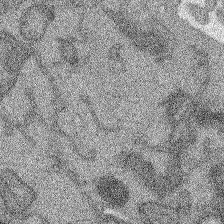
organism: Human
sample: HeLa cells